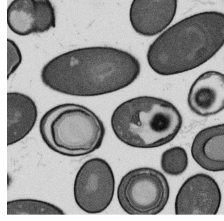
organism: B. subtilis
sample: Bacterial spore